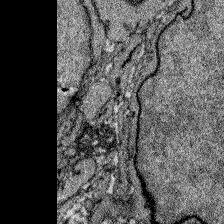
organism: Zebrafish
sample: Larval olfactory bulb